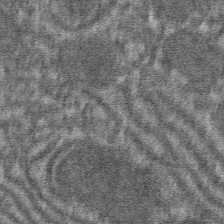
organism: Mouse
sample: Mouse hepatocytes